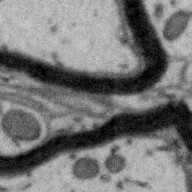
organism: Zebra finch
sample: Brain